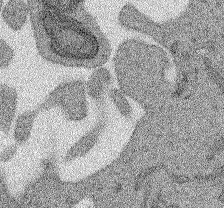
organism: Human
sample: HeLa cells